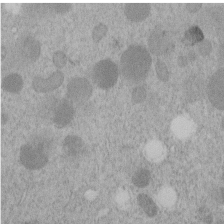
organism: C. elegans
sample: C. elegans embryo early stage